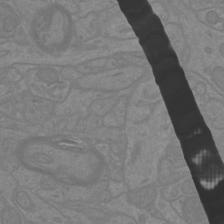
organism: Mouse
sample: Cortical neurons